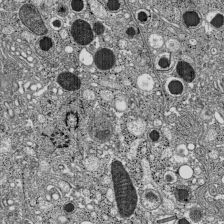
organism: C57BL Mouse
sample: Pancreatic islet